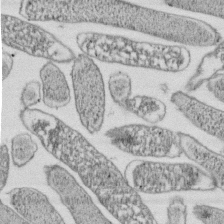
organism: E. coli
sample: Bacterial nucleoid